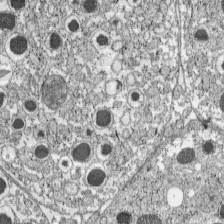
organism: C57BL Mouse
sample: Pancreatic islet